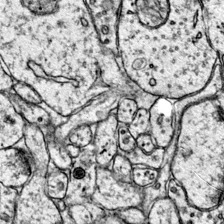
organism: Mouse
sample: Primary visual cortex